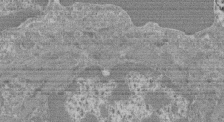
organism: Mouse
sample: Glomerulus